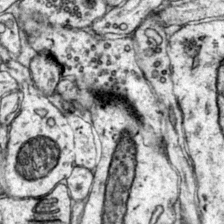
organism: Mouse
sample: Primary visual cortex